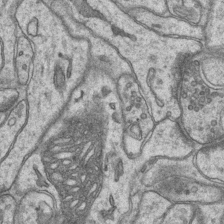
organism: Mouse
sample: CA1 Hippocampus